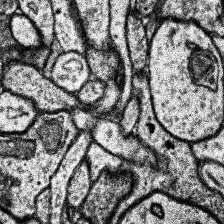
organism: Human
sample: Temporal Lobe